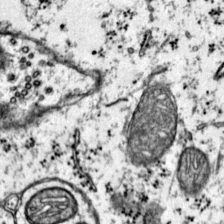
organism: Mouse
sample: Primary visual cortex